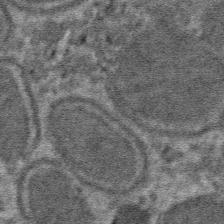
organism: Mouse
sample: Mouse hepatocytes